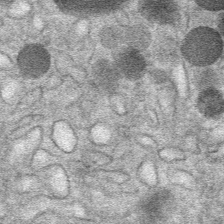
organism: Mouse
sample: Mouse Salivary gland